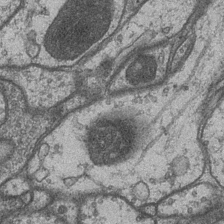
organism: Drosophila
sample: Optic medulla